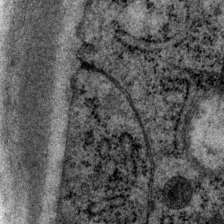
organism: P. pacificus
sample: Pharynx